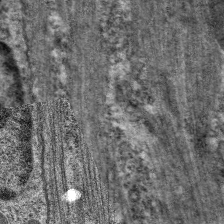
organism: C. elegans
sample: Pharynx